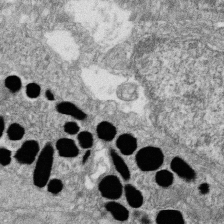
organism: Zebrafish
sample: Cilia; retinal pigment epithelium